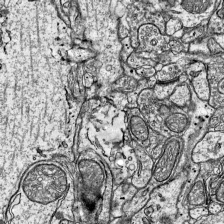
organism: Mouse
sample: Visual Cortex